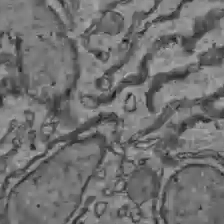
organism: C57BL Mouse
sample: Liver